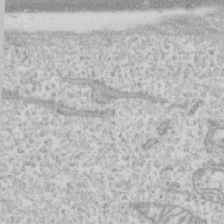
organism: Human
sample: CRL-1474